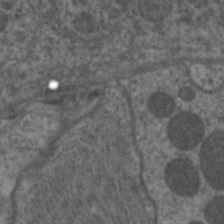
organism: C. elegans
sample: Pharynx